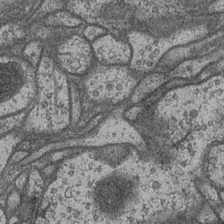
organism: Drosophila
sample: Optic medulla